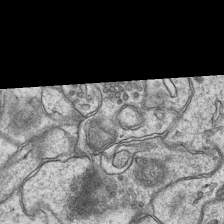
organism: Mouse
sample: CA1 Hippocampus